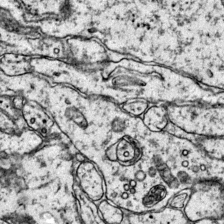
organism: Mouse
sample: Primary visual cortex